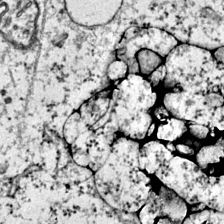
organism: Mouse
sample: Primary visual cortex